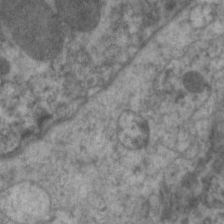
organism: C. elegans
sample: Pharynx